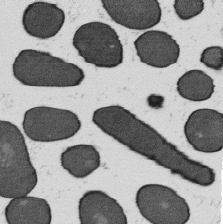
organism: B. subtilis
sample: Bacterial spore